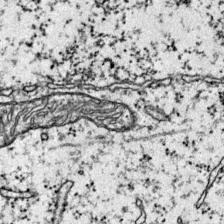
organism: Mouse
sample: Primary visual cortex